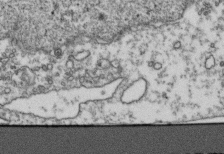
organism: Human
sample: Activated Jurkat CD4+ T cells